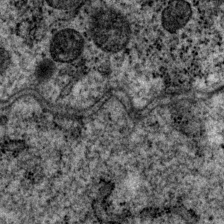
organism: P. pacificus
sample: Pharynx